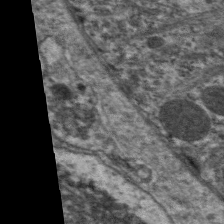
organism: C. elegans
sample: Pharynx